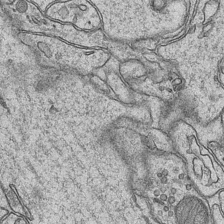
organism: Mouse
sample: CA1 Hippocampus